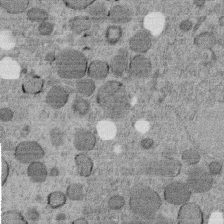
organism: C. elegans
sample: C. elegans embryo early stage